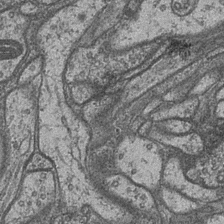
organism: Drosophila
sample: Optic medulla